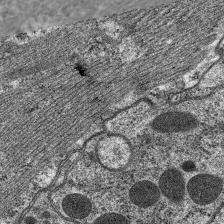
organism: C. elegans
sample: Pharynx